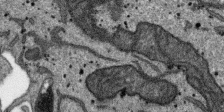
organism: Human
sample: Lung epithelial cells, uninfected (mock) control